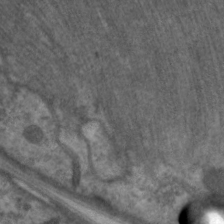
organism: C. elegans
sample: Pharynx